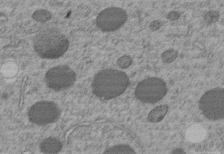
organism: C. elegans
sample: C. elegans embryo early stage